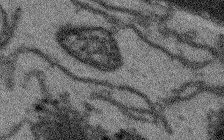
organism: Arabidopsis thaliana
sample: Root tip